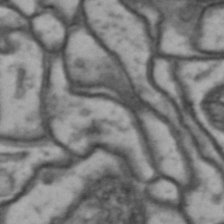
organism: Drosophila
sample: Brain